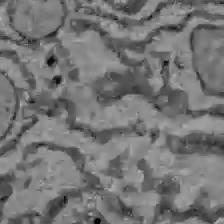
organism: C57BL Mouse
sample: Liver